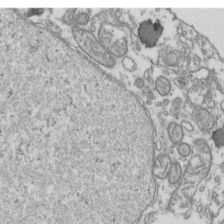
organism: Human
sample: Activated Jurkat CD4+ T cells